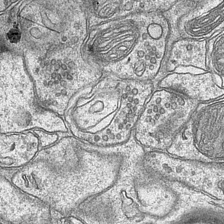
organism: Mouse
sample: CA1 Hippocampus